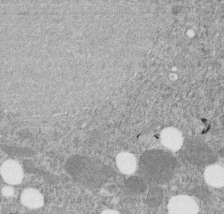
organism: C. elegans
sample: C. elegans embryo early stage